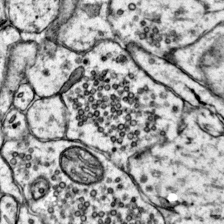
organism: Mouse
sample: Primary visual cortex